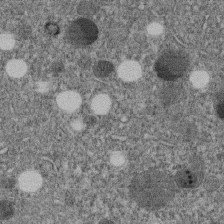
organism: C. elegans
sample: C. elegans embryo early stage